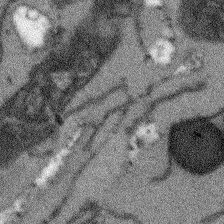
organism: Arabidopsis thaliana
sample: Root tip